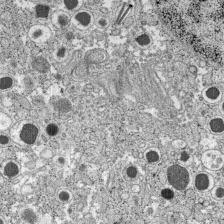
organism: C57BL Mouse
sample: Pancreatic islet